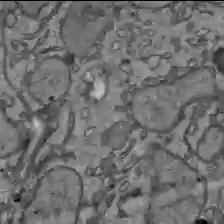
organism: C57BL Mouse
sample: Liver